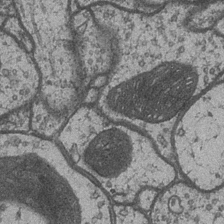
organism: Drosophila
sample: Optic medulla